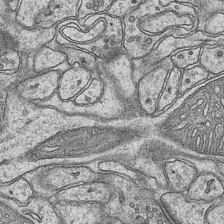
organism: Mouse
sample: CA1 Hippocampus